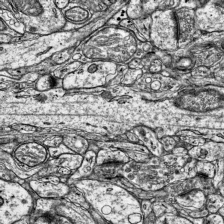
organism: Mouse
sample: Visual Cortex